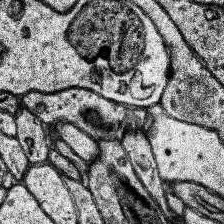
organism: Human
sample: Temporal Lobe